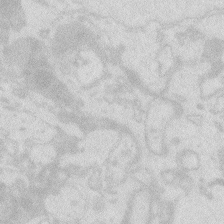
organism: Zebrafish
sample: Macrophage